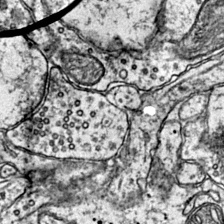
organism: Mouse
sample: Primary visual cortex